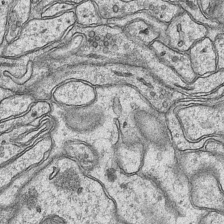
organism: Mouse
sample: CA1 Hippocampus